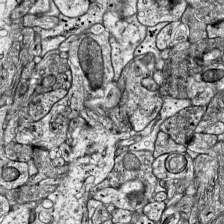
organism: Mouse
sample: Visual Cortex